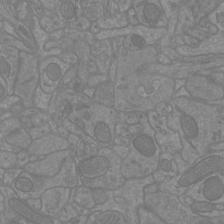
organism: Mouse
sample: Cortical neurons